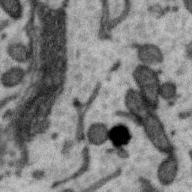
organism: Zebra finch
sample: Brain